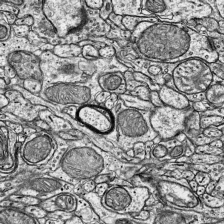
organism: Mouse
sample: Visual Cortex